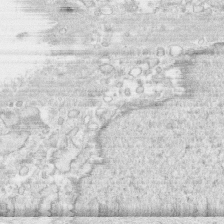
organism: Human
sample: CRL-1474